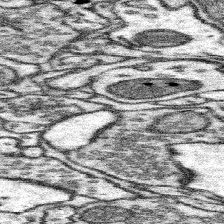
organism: Mouse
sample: Somatosensory cortex neuropil